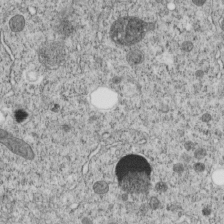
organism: C. elegans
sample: C. elegans embryo early stage